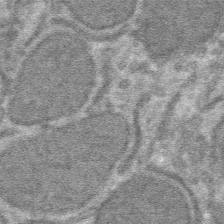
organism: Mouse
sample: Mouse hepatocytes